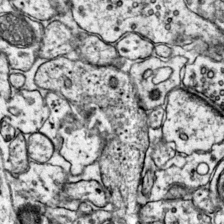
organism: Mouse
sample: Primary visual cortex